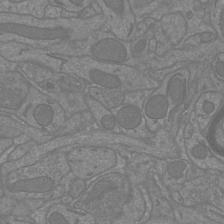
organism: Mouse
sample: Cortical neurons